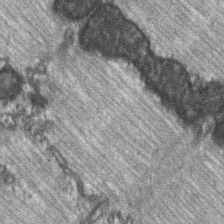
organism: C57BL Mouse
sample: Soleus